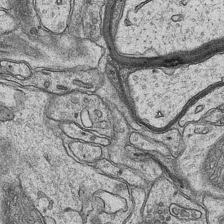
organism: Mouse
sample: CA1 Hippocampus